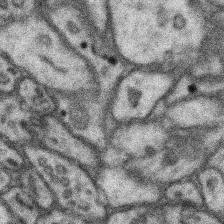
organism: Mouse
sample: Somatosensory cortex neuropil